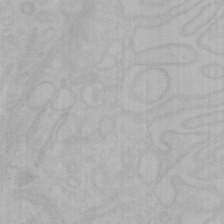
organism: Mouse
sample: Choroid plexus